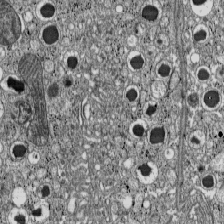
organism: C57BL Mouse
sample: Pancreatic islet